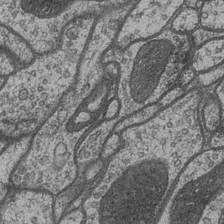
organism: Drosophila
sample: Optic medulla